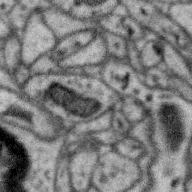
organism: Zebra finch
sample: Brain